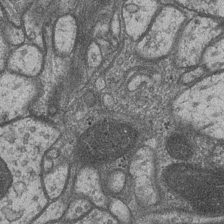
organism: Drosophila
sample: Optic medulla